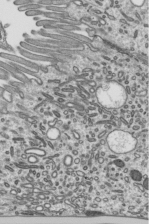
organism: Mouse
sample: Mouse epididymis efferent ductule cilia